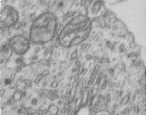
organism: Human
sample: Centriole in RPE cells